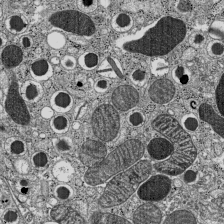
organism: C57BL Mouse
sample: Pancreatic islet